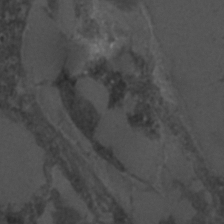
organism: C. elegans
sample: C. elegans embryo